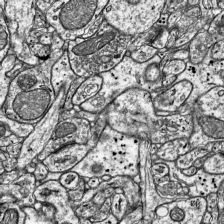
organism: Mouse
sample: Visual Cortex